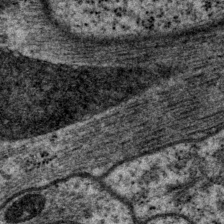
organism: P. pacificus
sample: Pharynx